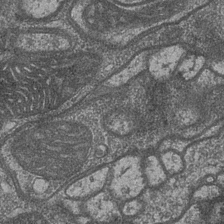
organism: Drosophila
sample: Optic medulla